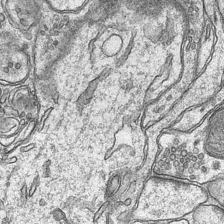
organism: Mouse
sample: CA1 Hippocampus